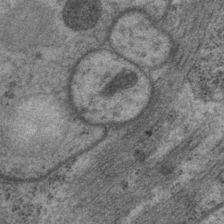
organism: P. pacificus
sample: Pharynx